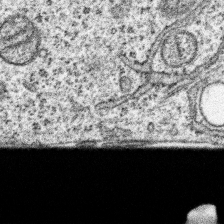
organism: Human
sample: HeLa cells